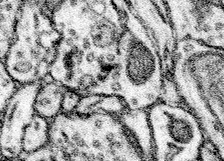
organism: Mouse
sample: Somatosensory cortex neuropil